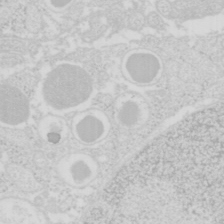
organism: Mouse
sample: Pancreas